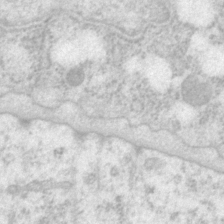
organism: P. pacificus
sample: Pharynx